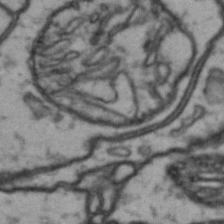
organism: Drosophila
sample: Brain